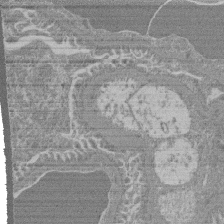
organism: Mouse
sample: Glomerulus